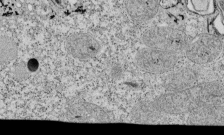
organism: Tetrahymena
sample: Cilia in tetrahymena